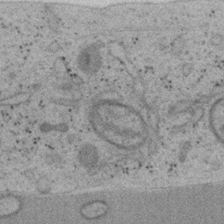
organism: Human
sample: HeLa cells